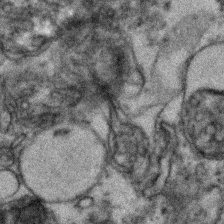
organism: Zebrafish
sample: Zebrafish embryo